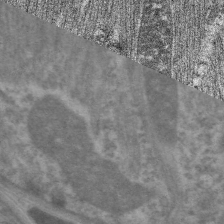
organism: C. elegans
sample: Pharynx